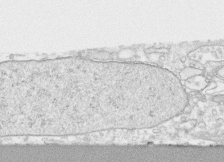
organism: Human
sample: CRL-1474